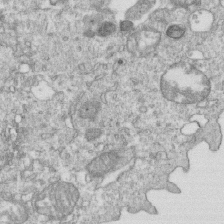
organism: Mouse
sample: Activated OT-1 CD8+ T cells